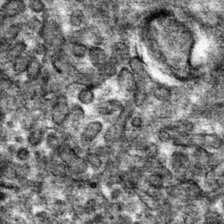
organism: Mouse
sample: Mouse hepatocytes